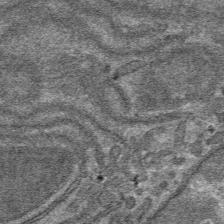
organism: Mouse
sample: Mouse hepatocytes